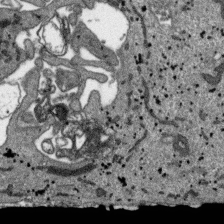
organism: Human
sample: Lung epithelial cells, uninfected (mock) control